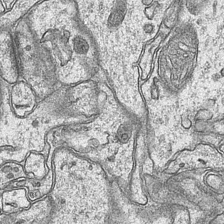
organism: Mouse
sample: CA1 Hippocampus